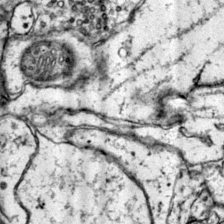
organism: Mouse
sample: Primary visual cortex